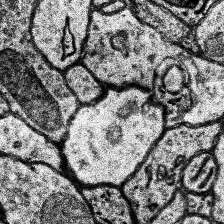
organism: Human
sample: Temporal Lobe